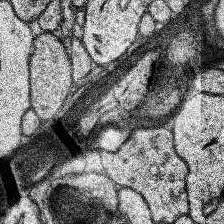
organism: Human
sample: Temporal Lobe